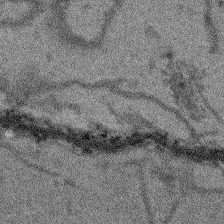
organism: Arabidopsis thaliana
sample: Root tip